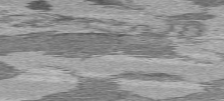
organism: C57BL Mouse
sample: Heart